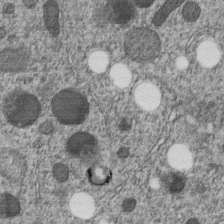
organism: C. elegans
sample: C. elegans embryo early stage